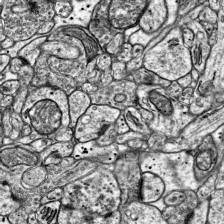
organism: Mouse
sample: Visual Cortex